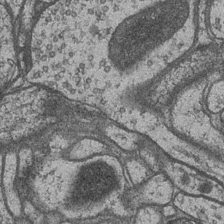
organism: Drosophila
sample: Optic medulla